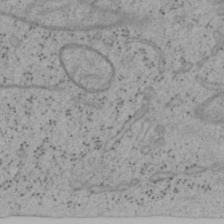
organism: Human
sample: HeLa cells